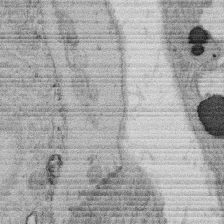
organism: Rat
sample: Salivary granule